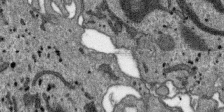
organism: Human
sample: Lung epithelial cells, uninfected (mock) control